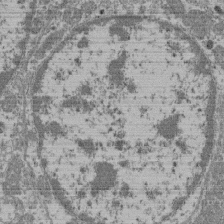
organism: Mouse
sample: Glomerulus